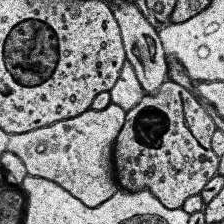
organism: Human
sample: Temporal Lobe